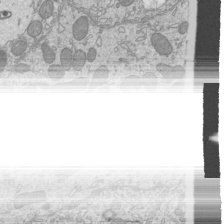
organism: Mouse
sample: Cilia; mouse epididymis